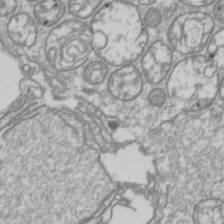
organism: Drosophila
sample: Cell division; meiosis; drosophila spermatocytes